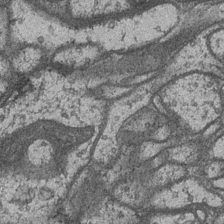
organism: Drosophila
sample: Optic medulla